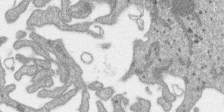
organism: Human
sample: Lung epithelial cells infected with SARS-CoV-2